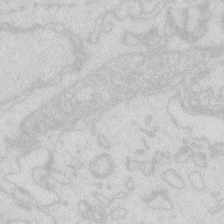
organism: Zebrafish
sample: Macrophage